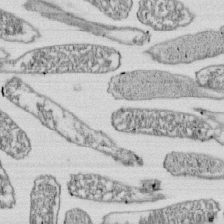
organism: E. coli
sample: Bacterial nucleoid